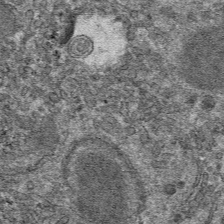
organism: Mouse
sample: Mouse hepatocytes